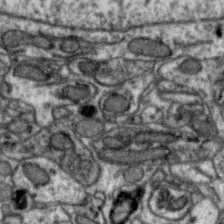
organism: Zebra finch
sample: Brain